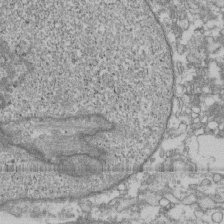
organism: Human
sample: Fibroblast cells